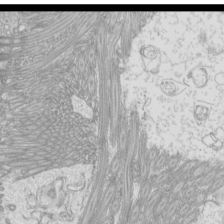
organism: Mouse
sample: Cilia; mouse epididymis